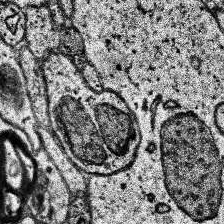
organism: Human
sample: Temporal Lobe